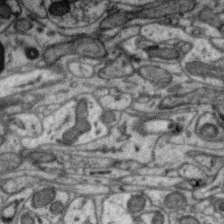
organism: Zebra finch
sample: Brain